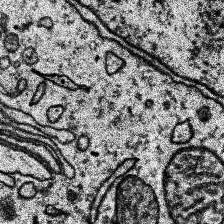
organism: Human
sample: Temporal Lobe